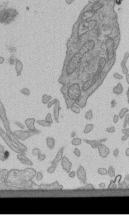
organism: Human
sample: Retinal organoid Rod and Cone cells